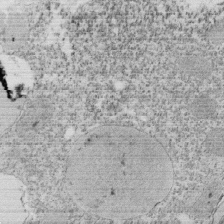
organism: Tetrahymena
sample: Cilia in tetrahymena